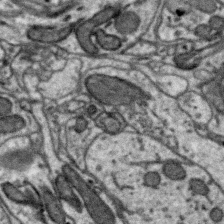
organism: Zebra finch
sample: Brain